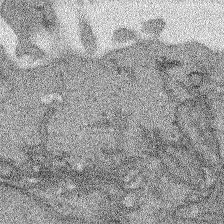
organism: Human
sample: HeLa cells